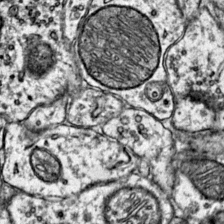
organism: Mouse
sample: Primary visual cortex